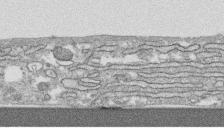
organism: Human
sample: CRL-1474